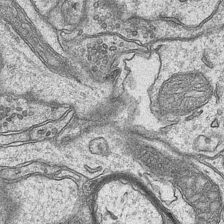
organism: Mouse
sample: CA1 Hippocampus